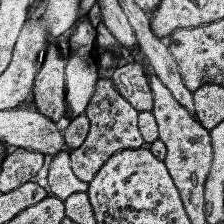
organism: Human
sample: Temporal Lobe